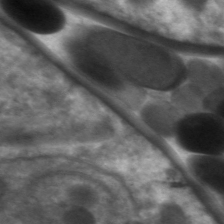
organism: C. elegans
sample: Pharynx